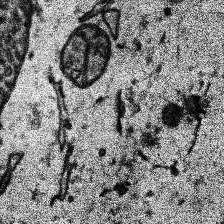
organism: Human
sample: Temporal Lobe